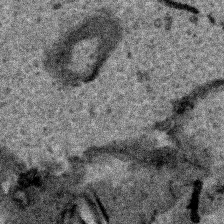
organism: Human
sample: Mitochondria in HCT116 cells